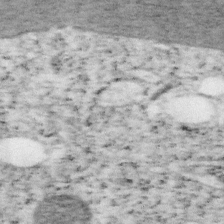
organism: Mouse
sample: OT-I killer T cells with ID8 ovarian cancer cells